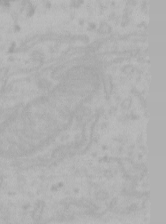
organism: Mouse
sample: Choroid plexus